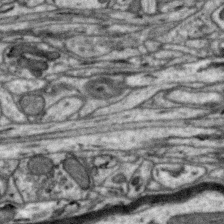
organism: Zebra finch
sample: Brain